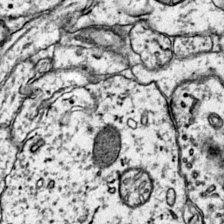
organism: Mouse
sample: Primary visual cortex